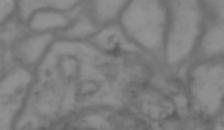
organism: Drosophila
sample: Brain